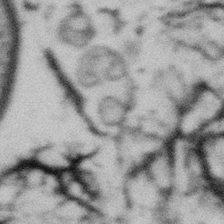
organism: Gemmata obscuriglobus